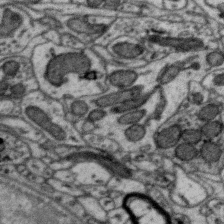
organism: Zebra finch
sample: Brain